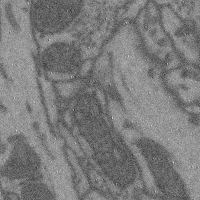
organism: Mouse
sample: Cerebral cortex